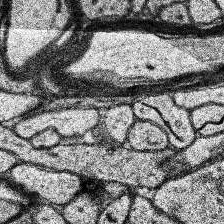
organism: Human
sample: Temporal Lobe